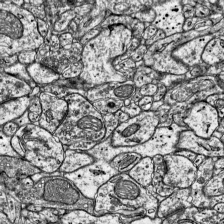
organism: Mouse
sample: Visual Cortex